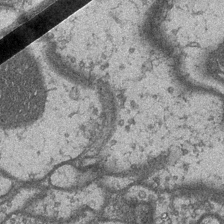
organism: Drosophila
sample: Optic medulla